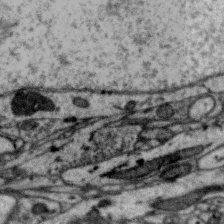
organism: Zebra finch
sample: Brain